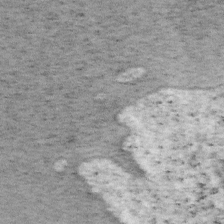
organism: Mouse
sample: OT-I killer T cells with ID8 ovarian cancer cells